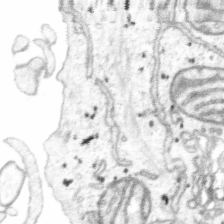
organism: Human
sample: HeLa cells